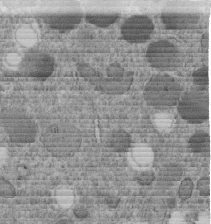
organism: C. elegans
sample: C. elegans embryo early stage